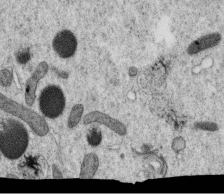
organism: C. elegans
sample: C. elegans oocyte; sperm cells